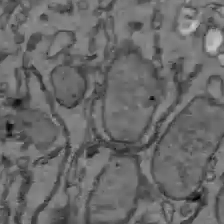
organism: C57BL Mouse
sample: Liver